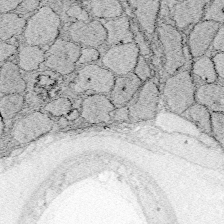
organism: Zebrafish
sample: Whole-Brain